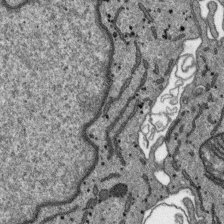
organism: Human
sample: Lung epithelial cells, uninfected (mock) control